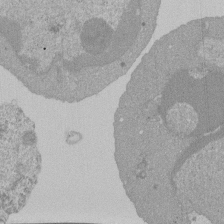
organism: Mouse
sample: Activated Pmel transgenic CD8+ T Cells